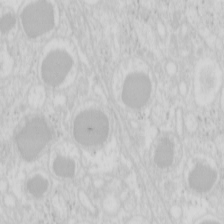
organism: Mouse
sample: Pancreas